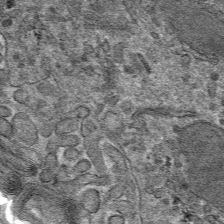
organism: Mouse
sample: Mouse hepatocytes